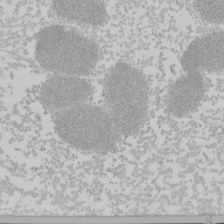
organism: Mouse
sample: Cancer cell death in ED-1 cells